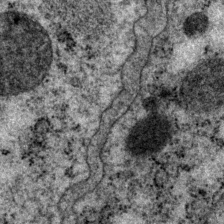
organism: P. pacificus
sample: Pharynx